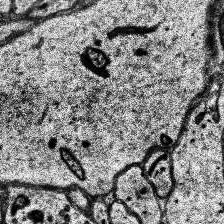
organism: Human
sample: Temporal Lobe